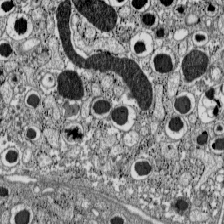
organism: C57BL Mouse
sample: Pancreatic islet